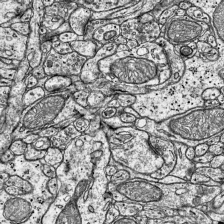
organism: Mouse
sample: Visual Cortex